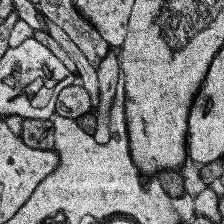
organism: Human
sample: Temporal Lobe